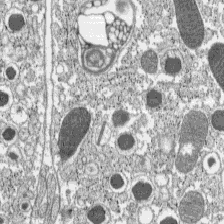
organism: C57BL Mouse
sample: Pancreatic islet